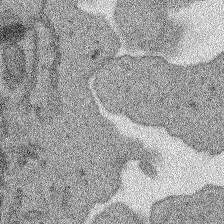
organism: Human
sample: HeLa cells